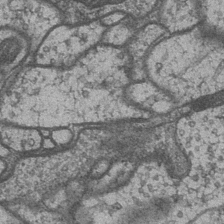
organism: Drosophila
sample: Optic medulla